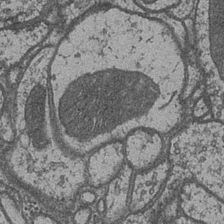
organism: Drosophila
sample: Optic medulla